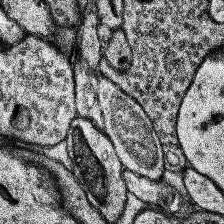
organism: Human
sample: Temporal Lobe